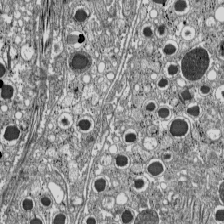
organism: C57BL Mouse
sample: Pancreatic islet